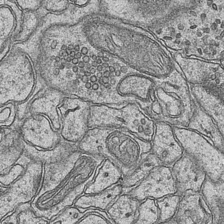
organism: Mouse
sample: CA1 Hippocampus